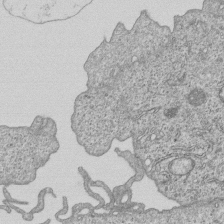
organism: Human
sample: MDA-MB-231 cells